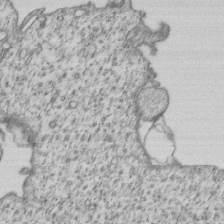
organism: Human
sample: MDA-MB-231 cells